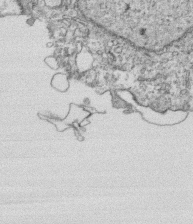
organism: Human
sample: HeLa cell HIV synapse